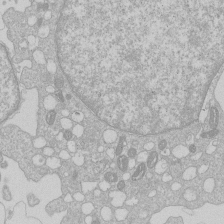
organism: Human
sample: Macrophage cells